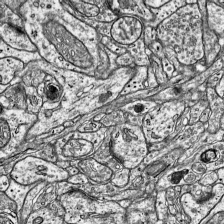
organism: Mouse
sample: Visual Cortex